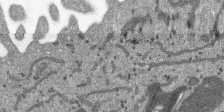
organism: Human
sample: Lung epithelial cells infected with SARS-CoV-2